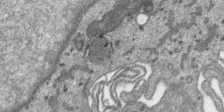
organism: Human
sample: Lung epithelial cells infected with SARS-CoV-2